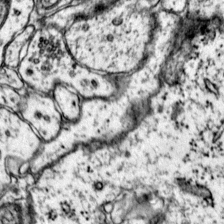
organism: Mouse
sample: Primary visual cortex